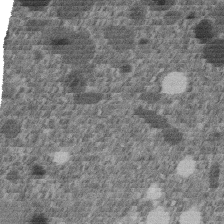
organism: C. elegans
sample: C. elegans embryo early stage